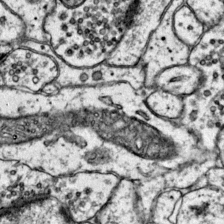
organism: Mouse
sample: Primary visual cortex